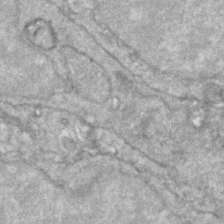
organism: Zebrafish